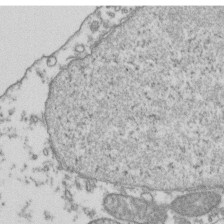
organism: Human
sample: Activated Jurkat CD4+ T cells